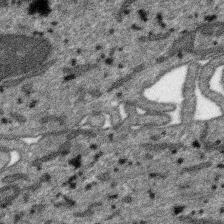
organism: Human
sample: Lung epithelial cells infected with SARS-CoV-2